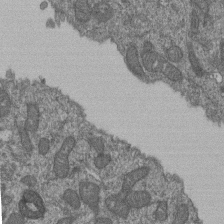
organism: Human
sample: Retinal organoid Rod and Cone cells